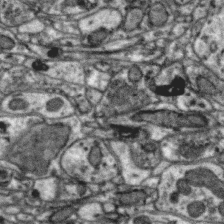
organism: Zebra finch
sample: Brain